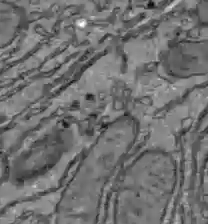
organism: C57BL Mouse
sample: Liver